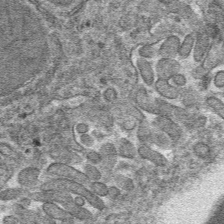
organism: Mouse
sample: Mouse hepatocytes